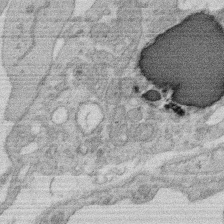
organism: Rat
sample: Salivary granule